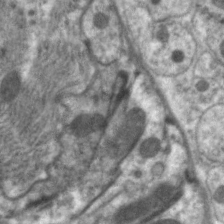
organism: C. elegans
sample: Pharynx